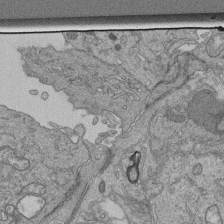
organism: Human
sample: Retinal organoid Rod and Cone cells